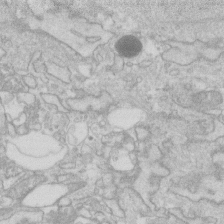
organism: Human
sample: Fibroblast cells